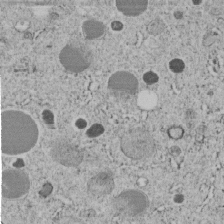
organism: C. elegans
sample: C. elegans embryo early stage